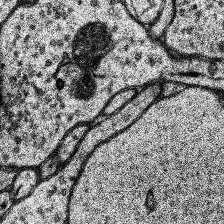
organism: Human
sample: Temporal Lobe